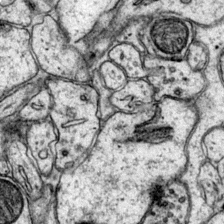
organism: Mouse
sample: Primary visual cortex